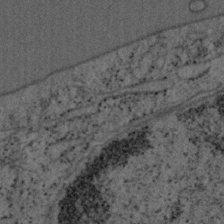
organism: Human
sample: HeLa cells